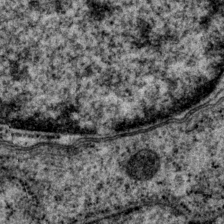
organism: P. pacificus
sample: Pharynx